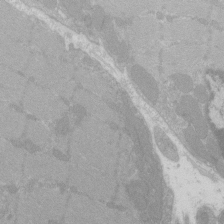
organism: C57BL Mouse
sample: Tibialis anterior muscle cell